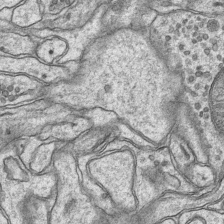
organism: Mouse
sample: CA1 Hippocampus